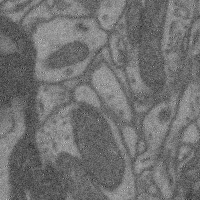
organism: Mouse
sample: Cerebral cortex